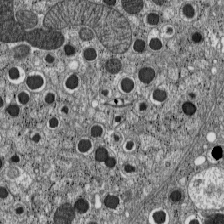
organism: C57BL Mouse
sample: Pancreatic islet